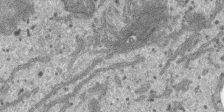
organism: Human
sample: Lung epithelial cells infected with SARS-CoV-2